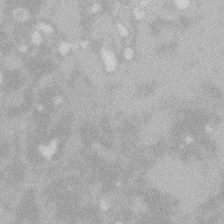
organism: Zebrafish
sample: Macrophage